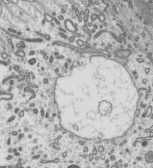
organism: Mouse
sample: Mouse epididymis efferent ductule cilia